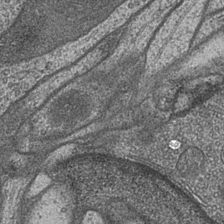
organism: Drosophila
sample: Optic medulla